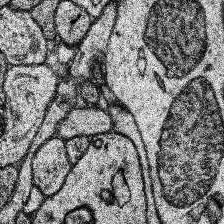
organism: Human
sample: Temporal Lobe